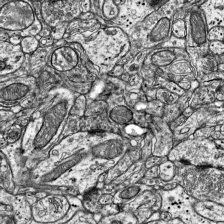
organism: Mouse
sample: Visual Cortex